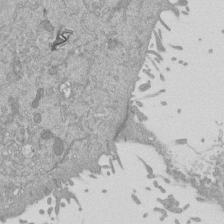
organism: Mouse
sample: ED-1 cell nuclei; centrioles